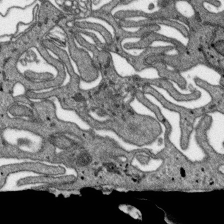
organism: Human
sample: Lung epithelial cells, uninfected (mock) control